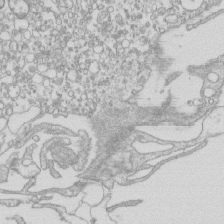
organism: Mouse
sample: Macrophages